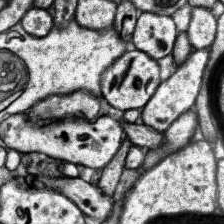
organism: Human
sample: Temporal Lobe